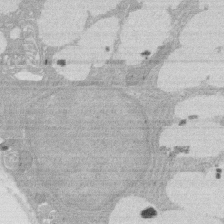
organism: Rat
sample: Salivary granule